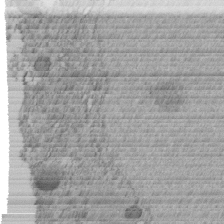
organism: C. elegans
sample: C. elegans embryo early stage